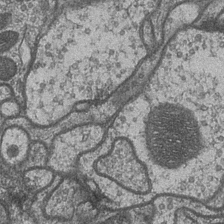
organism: Drosophila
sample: Optic medulla